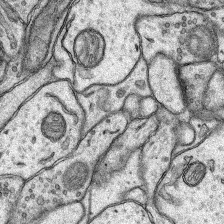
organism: Rat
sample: Hippocampus